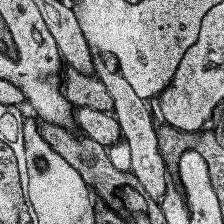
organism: Human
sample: Temporal Lobe